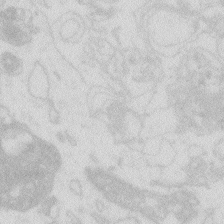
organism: Zebrafish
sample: Macrophage